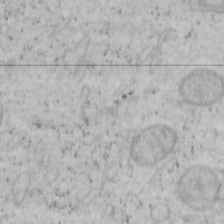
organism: Human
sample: HeLa cells